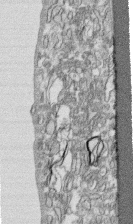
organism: Human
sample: CRL-1474